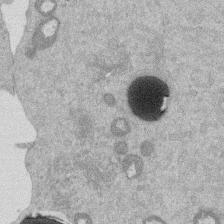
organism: Mouse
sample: Dividing mouse embryo 1 cell stage